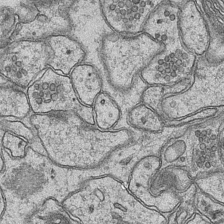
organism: Mouse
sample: CA1 Hippocampus